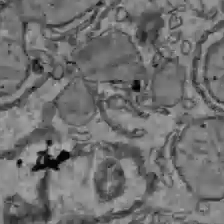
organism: C57BL Mouse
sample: Liver